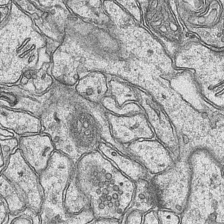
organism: Mouse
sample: CA1 Hippocampus